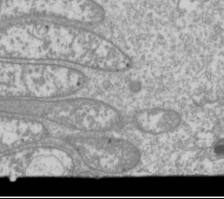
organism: Drosophila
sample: Cell division; meiosis; drosophila spermatocytes